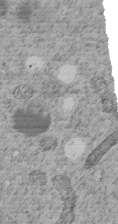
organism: C. elegans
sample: C. elegans embryo early stage